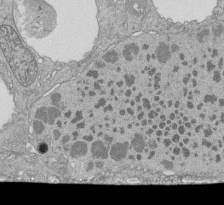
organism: Tetrahymena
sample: Cilia in tetrahymena